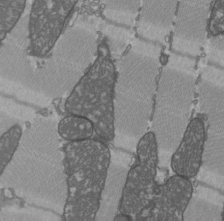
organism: C57BL Mouse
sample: Heart